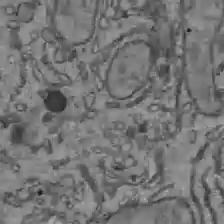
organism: C57BL Mouse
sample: Liver